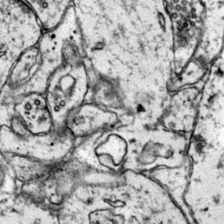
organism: Mouse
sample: Primary visual cortex